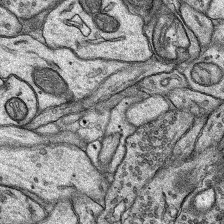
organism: Rat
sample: Hippocampus